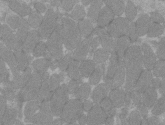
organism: C57BL Mouse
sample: Tibialis anterior muscle cell